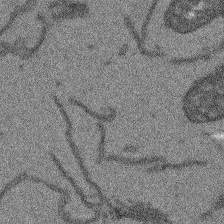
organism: Arabidopsis thaliana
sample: Root tip